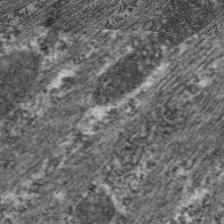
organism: C. elegans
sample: Pharynx